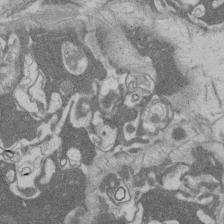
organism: Rat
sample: Salivary granule